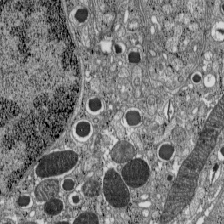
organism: C57BL Mouse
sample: Pancreatic islet